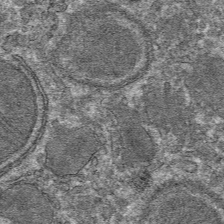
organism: Mouse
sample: Mouse hepatocytes